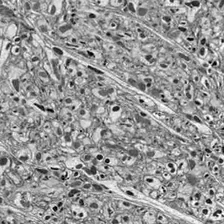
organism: Drosophila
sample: Optic lobe